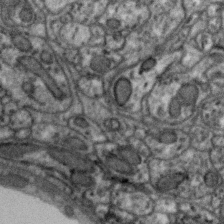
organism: Zebra finch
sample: Brain